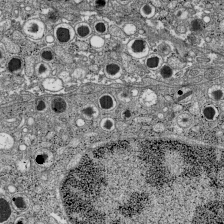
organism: C57BL Mouse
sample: Pancreatic islet